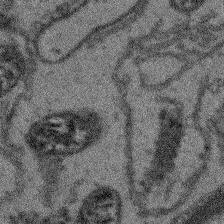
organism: Arabidopsis thaliana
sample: Root tip